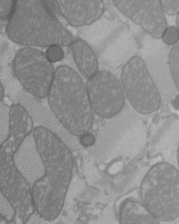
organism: C57BL Mouse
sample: Heart